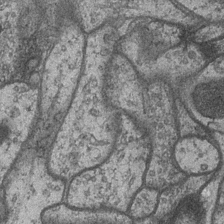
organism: Drosophila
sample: Optic medulla